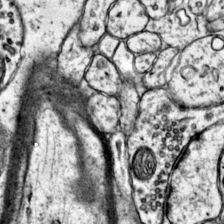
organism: Mouse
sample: Primary visual cortex